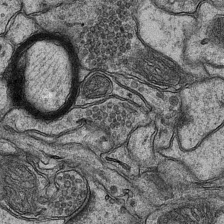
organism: Mouse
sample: CA1 Hippocampus